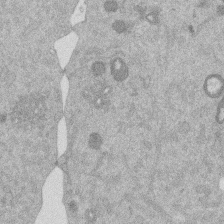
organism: Mouse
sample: Dividing mouse embryo 1 cell stage